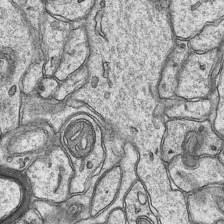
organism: Mouse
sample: CA1 Hippocampus